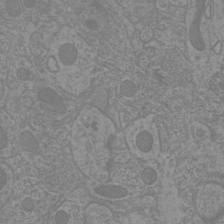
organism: Mouse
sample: Cortical neurons